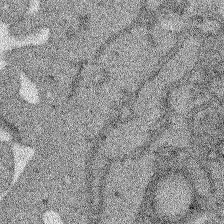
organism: Human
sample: HeLa cells